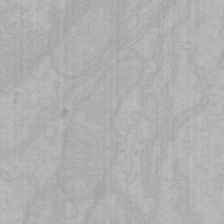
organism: Mouse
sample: Choroid plexus